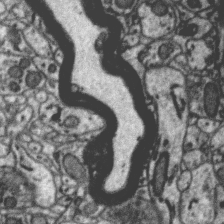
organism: Zebra finch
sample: Brain